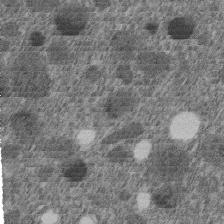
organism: C. elegans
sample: C. elegans embryo early stage